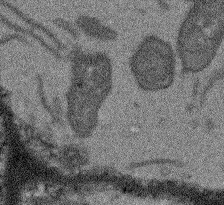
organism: Arabidopsis thaliana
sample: Root tip